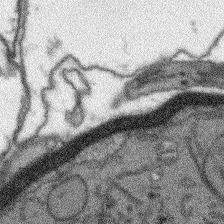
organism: Arabidopsis thaliana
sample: Root tip